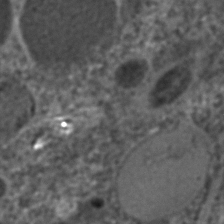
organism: C. elegans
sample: C. elegans embryo